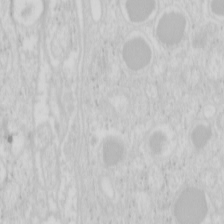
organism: Mouse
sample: Pancreas